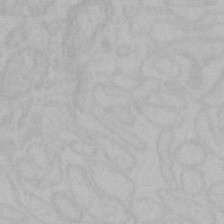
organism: Mouse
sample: Choroid plexus